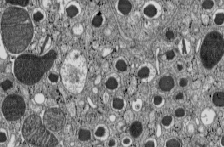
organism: C57BL Mouse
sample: Pancreatic islet